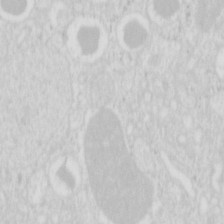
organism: Mouse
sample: Pancreas